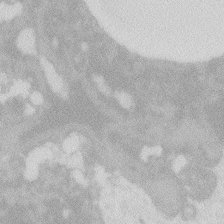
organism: Zebrafish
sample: Macrophage